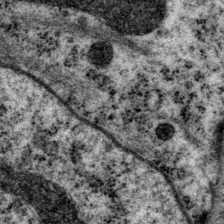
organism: P. pacificus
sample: Pharynx